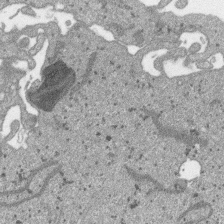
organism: Human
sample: Lung epithelial cells infected with SARS-CoV-2